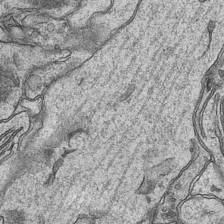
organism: Mouse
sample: CA1 Hippocampus